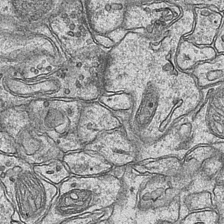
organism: Mouse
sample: CA1 Hippocampus